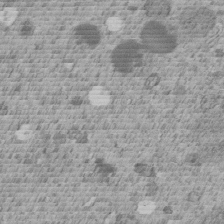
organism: C. elegans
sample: C. elegans embryo early stage